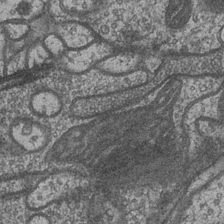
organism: Drosophila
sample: Optic medulla